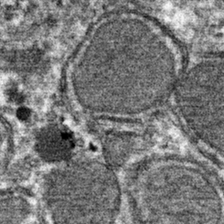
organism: Mouse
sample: Mouse hepatocytes